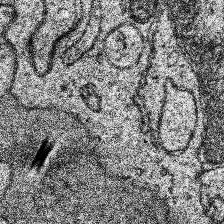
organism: Human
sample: Temporal Lobe